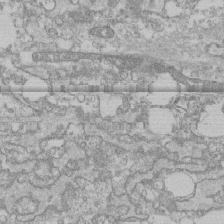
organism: Human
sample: CRL-1474